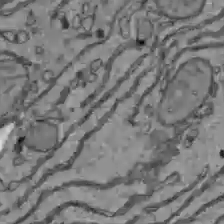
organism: C57BL Mouse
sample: Liver